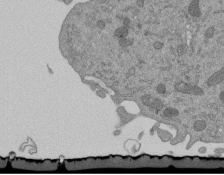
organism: Mouse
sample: ED-1 cell nuclei; centrioles